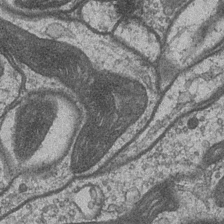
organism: Drosophila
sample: Optic medulla